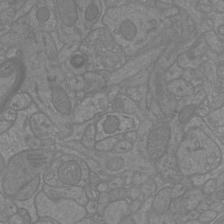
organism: Mouse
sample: Cortical neurons